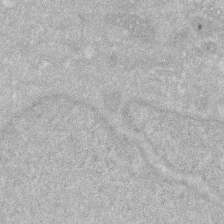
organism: Human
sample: HIV infected U937 cells